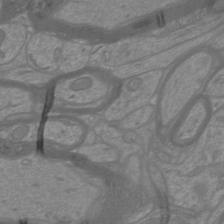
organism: Mouse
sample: Cortical neurons